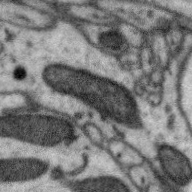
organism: Zebra finch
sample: Brain